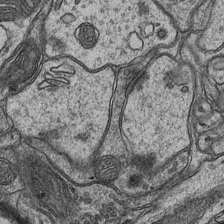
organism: Mouse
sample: CA1 Hippocampus